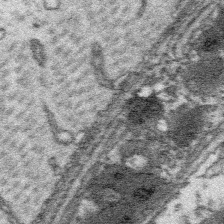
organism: Platynereis dumerilii